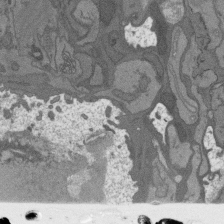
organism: C. elegans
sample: AFD neurons C. elegans